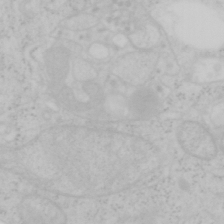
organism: Mouse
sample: OT-I killer T cells with ID8 ovarian cancer cells